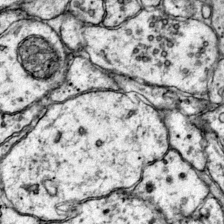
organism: Mouse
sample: Primary visual cortex